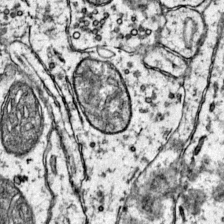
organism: Mouse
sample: Primary visual cortex